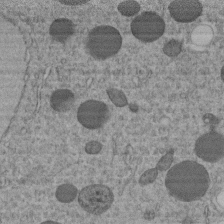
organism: C. elegans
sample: C. elegans embryo early stage